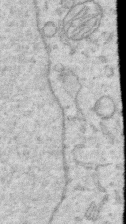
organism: Human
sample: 1205lu cells